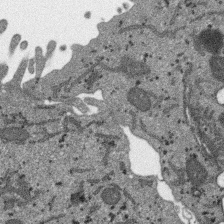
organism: Human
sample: Lung epithelial cells infected with SARS-CoV-2